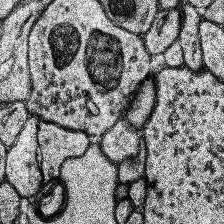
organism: Human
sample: Temporal Lobe